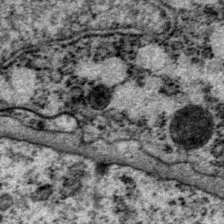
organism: P. pacificus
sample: Pharynx